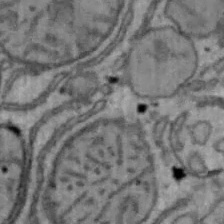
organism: Mouse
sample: Liver